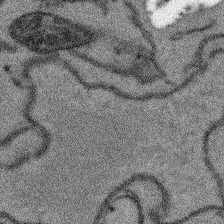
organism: Arabidopsis thaliana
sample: Root tip